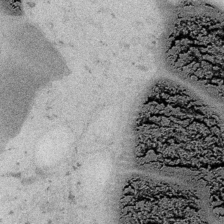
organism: Embia sp.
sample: Silk gland